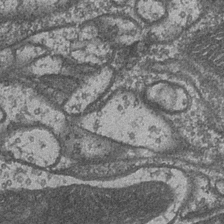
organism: Drosophila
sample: Optic medulla